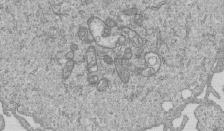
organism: Human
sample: MDA-MB-231 cells